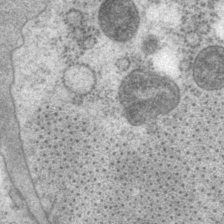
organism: P. pacificus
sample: Pharynx